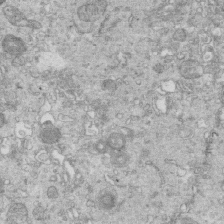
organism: Mouse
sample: Multiciliated cells